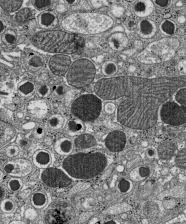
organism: C57BL Mouse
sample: Pancreatic islet